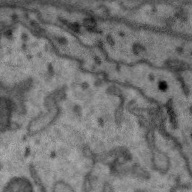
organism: Zebra finch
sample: Brain